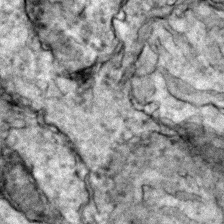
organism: Zebrafish